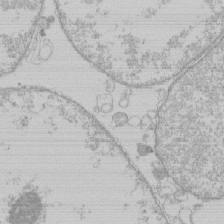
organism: Human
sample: Macrophage cells